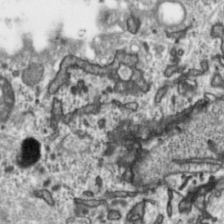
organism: Toxoplasma gondii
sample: Parasites in a vacuole inside a host cell